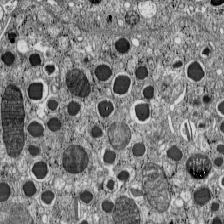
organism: C57BL Mouse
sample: Pancreatic islet